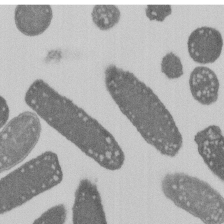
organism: E. coli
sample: Bacterial nucleoid